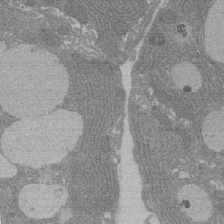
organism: Rat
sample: Salivary granule